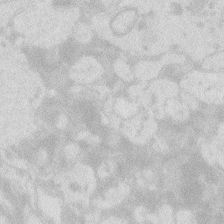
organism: Zebrafish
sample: Macrophage